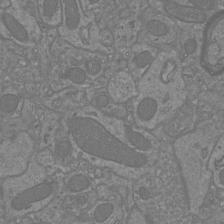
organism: Mouse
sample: Cortical neurons